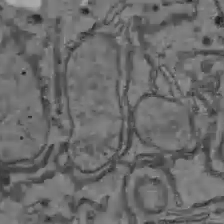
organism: C57BL Mouse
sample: Liver